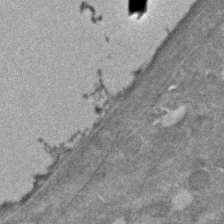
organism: C. elegans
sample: C. elegans embryo